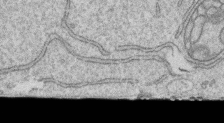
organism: Human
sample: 1205lu cells